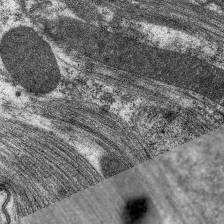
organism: C. elegans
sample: Pharynx